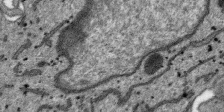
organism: Human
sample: Lung epithelial cells, uninfected (mock) control